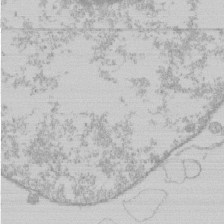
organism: Human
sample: Macrophage cells